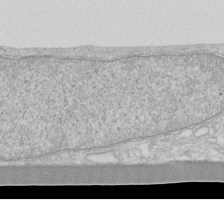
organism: Human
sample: Fibroblast cells